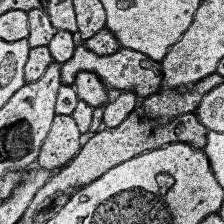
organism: Human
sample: Temporal Lobe